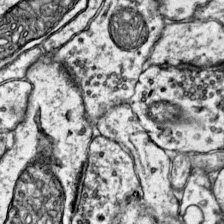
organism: Mouse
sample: Primary visual cortex